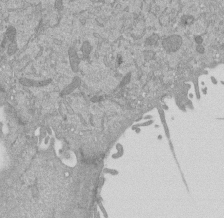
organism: Mouse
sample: ED-1 cell nuclei; centrioles